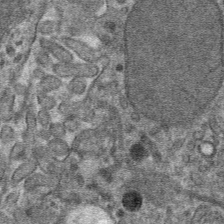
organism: Mouse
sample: Mouse hepatocytes